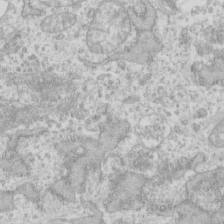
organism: Human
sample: Fibroblast cells